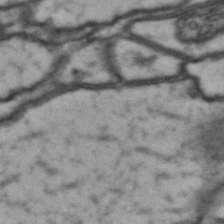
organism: Drosophila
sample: Brain